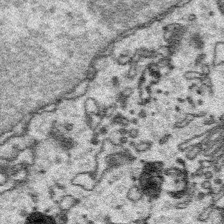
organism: Platynereis dumerilii